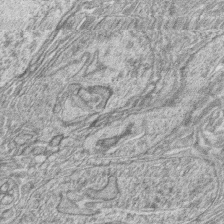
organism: Zebrafish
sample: synaptic ribbons in rod cells and cone cells